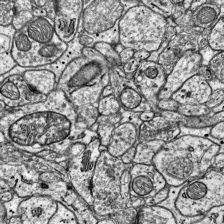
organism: Mouse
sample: Visual Cortex